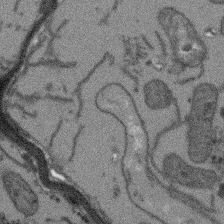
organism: Arabidopsis thaliana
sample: Root tip